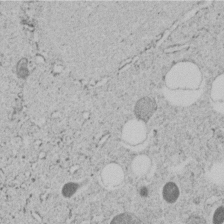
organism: C. elegans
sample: C. elegans embryo early stage